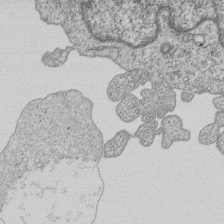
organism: Human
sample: MDA-MB-231 cells